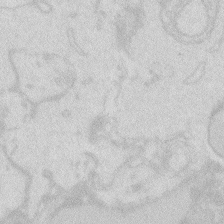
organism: Zebrafish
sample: Macrophage